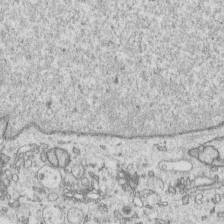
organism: Human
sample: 1205lu cells